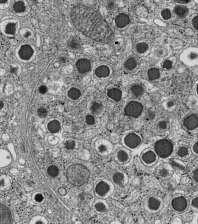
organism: C57BL Mouse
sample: Pancreatic islet